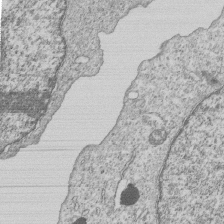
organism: Human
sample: MDA-MB-231 cells